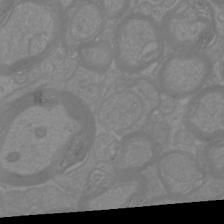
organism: Mouse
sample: Cortical neurons